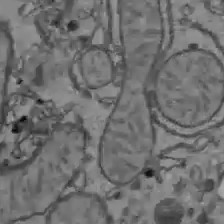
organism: C57BL Mouse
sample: Liver